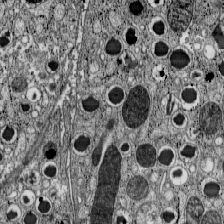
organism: C57BL Mouse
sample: Pancreatic islet